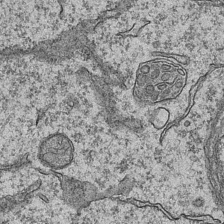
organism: Mouse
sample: CA1 Hippocampus